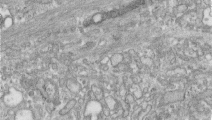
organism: Human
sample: Centriole in RPE cells